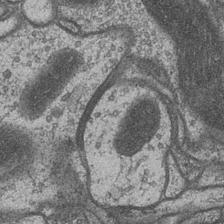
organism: Drosophila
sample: Optic medulla